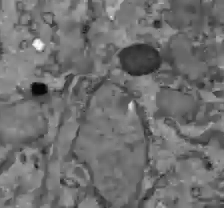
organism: C57BL Mouse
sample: Liver